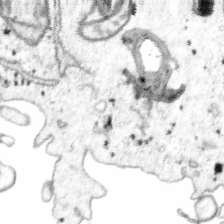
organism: Human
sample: HeLa cells